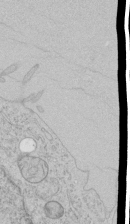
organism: Human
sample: Mitochondria in HCT116 cells